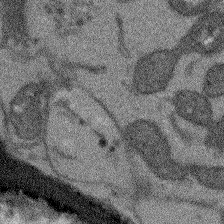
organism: Arabidopsis thaliana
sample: Root tip